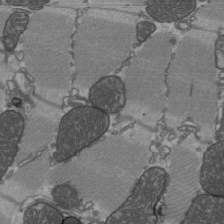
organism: C57BL Mouse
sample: Heart